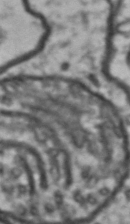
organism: Drosophila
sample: Brain